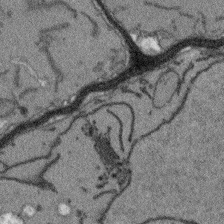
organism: Arabidopsis thaliana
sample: Root tip